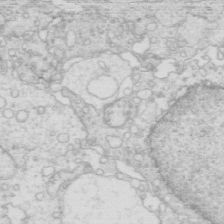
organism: Mouse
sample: Multiciliated cells